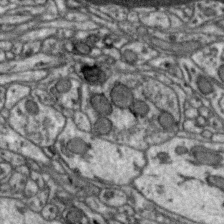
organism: Zebra finch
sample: Brain